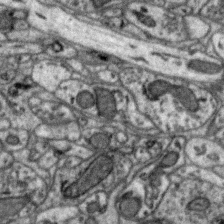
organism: Zebra finch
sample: Brain